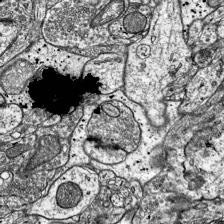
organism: Mouse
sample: Visual Cortex